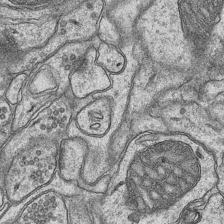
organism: Mouse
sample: CA1 Hippocampus